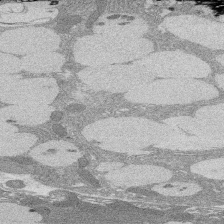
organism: Rat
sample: Salivary granule